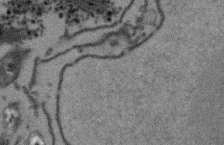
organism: Arabidopsis thaliana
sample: Root tip